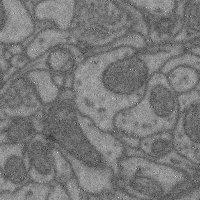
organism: Mouse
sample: Cerebral cortex